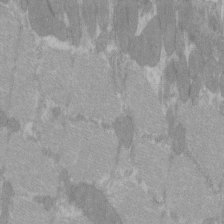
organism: C57BL Mouse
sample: Tibialis anterior muscle cell